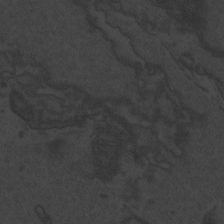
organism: Zebrafish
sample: Macrophage infected with Toxoplasma gondii